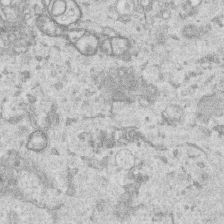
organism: Human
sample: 1205lu cells